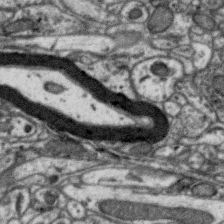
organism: Zebra finch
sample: Brain